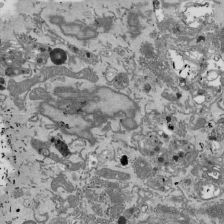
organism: Mouse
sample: ED-1 cell nuclei; centrioles